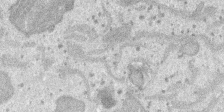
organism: Human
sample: Lung epithelial cells infected with SARS-CoV-2